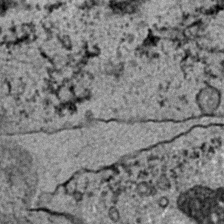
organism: C. elegans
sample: C. elegans embryo